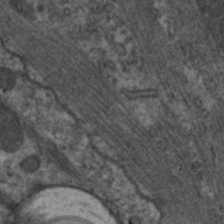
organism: C. elegans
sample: Pharynx